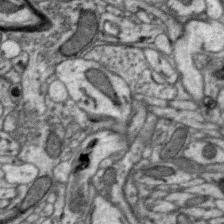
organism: Zebra finch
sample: Brain